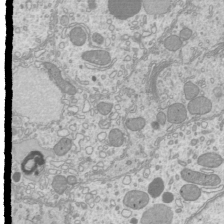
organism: Mouse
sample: Cilia; mouse epididymis